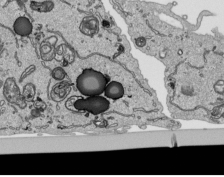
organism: Human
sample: Mitochondria in HCT116 cells